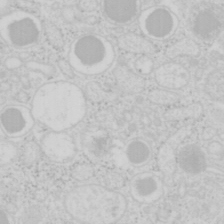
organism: Mouse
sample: Pancreas